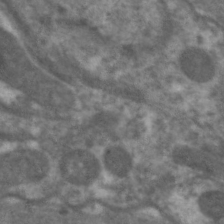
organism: C. elegans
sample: Pharynx